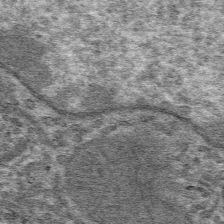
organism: Mouse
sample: Mouse hepatocytes